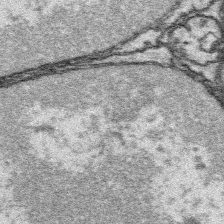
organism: Platynereis dumerilii